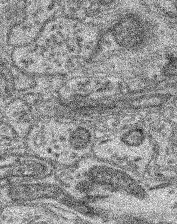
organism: Mouse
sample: Retina